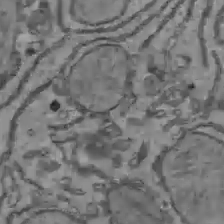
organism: C57BL Mouse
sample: Liver